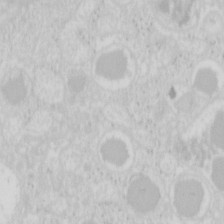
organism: Mouse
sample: Pancreas